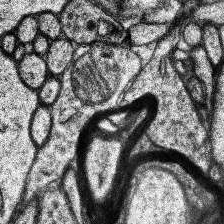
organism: Human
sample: Temporal Lobe